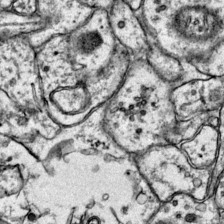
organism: Mouse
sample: Primary visual cortex